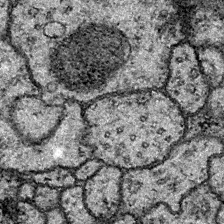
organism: Drosophila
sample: Ventral Nerve Cord